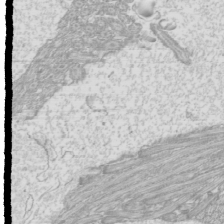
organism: Mouse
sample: Cilia; mouse epididymis